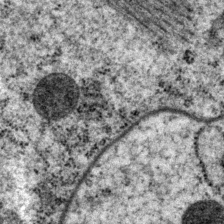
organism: P. pacificus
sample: Pharynx